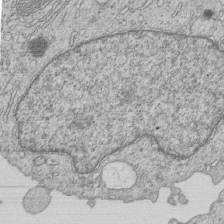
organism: Human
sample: MDA-MB-231 cells